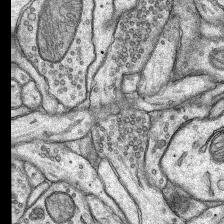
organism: Rat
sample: Hippocampus